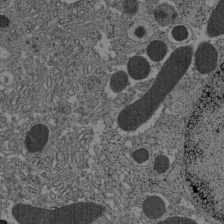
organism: C57BL Mouse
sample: Pancreatic islet